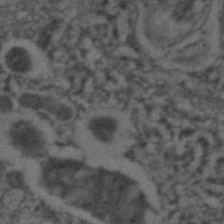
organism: C. elegans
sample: C. elegans embryo